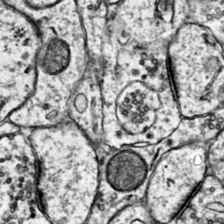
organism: Mouse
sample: Primary visual cortex